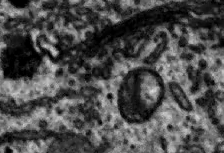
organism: Human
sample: HeLa cells